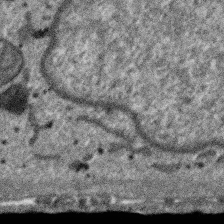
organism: Human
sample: Lung epithelial cells infected with SARS-CoV-2